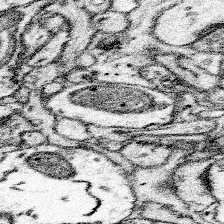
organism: Mouse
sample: Somatosensory cortex neuropil